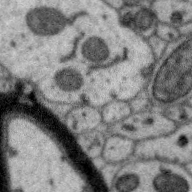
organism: Zebra finch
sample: Brain